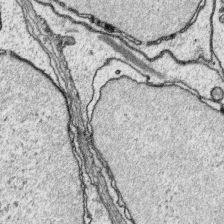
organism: Platynereis dumerilii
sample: Parapodia